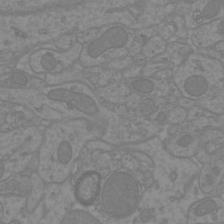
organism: Mouse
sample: Cortical neurons